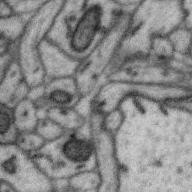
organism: Zebra finch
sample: Brain